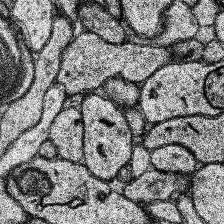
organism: Human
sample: Temporal Lobe